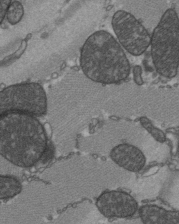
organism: C57BL Mouse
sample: Heart